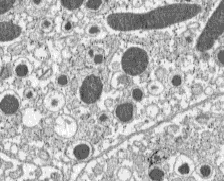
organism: C57BL Mouse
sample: Pancreatic islet